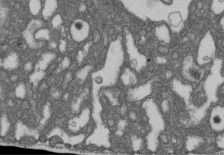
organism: Drosophila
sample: Nephrocyte